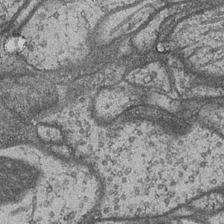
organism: Drosophila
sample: Optic medulla